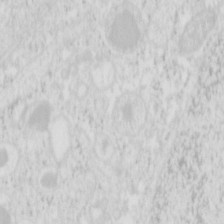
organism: Mouse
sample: Pancreas